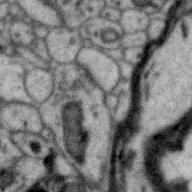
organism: Zebra finch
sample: Brain